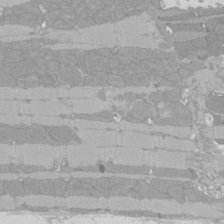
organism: Rat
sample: Left ventricle